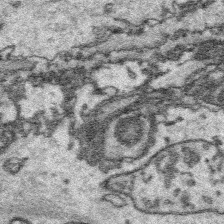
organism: Platynereis dumerilii